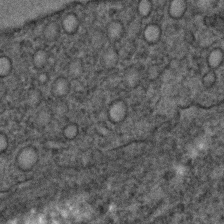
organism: C. elegans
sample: C. elegans embryo